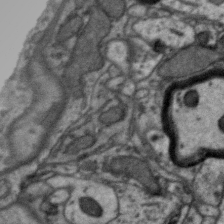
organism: Zebra finch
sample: Brain